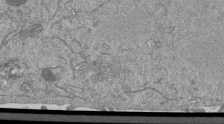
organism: Mouse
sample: ED-1 cell nuclei; centrioles